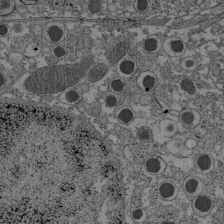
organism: C57BL Mouse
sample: Pancreatic islet